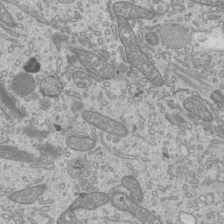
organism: Mouse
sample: Cilia; mouse epididymis